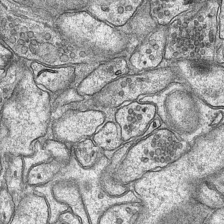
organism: Mouse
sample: CA1 Hippocampus